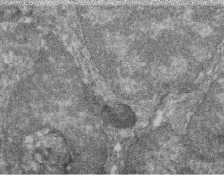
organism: Zebrafish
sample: Cilia; retinal pigment epithelium